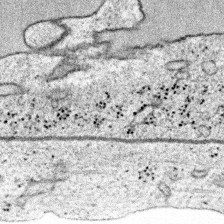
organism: Human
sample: HeLa cells